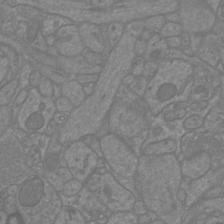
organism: Mouse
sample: Cortical neurons